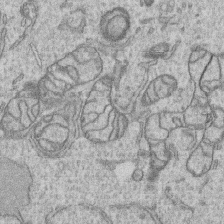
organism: Human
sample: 1205lu cells